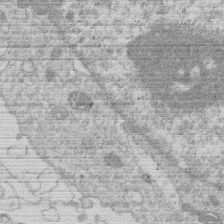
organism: Human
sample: Macrophage cells